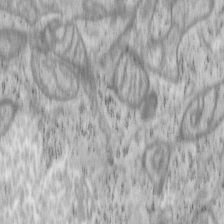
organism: Human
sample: HeLa cells